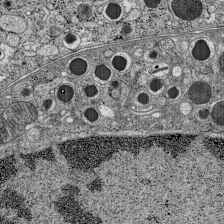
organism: C57BL Mouse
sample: Pancreatic islet